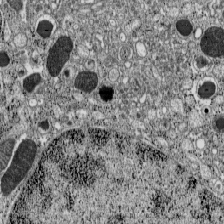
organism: C57BL Mouse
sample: Pancreatic islet